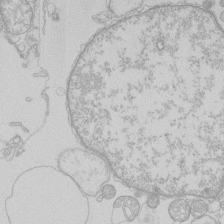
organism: Human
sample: Macrophage cells